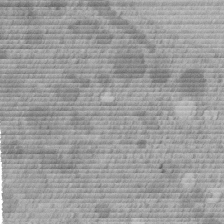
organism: C. elegans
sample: C. elegans embryo early stage